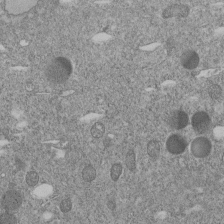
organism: C. elegans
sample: C. elegans embryo early stage